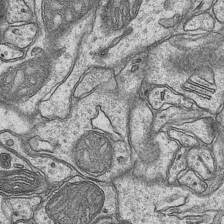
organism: Mouse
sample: CA1 Hippocampus